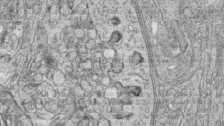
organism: Zebrafish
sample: synaptic ribbons in rod cells and cone cells